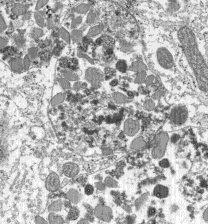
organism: C57BL Mouse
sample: Pancreatic islet